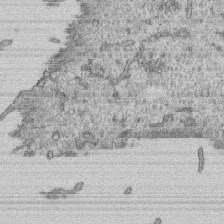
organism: Human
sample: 1205lu cells